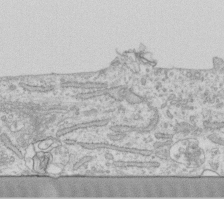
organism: Human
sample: Fibroblast cells